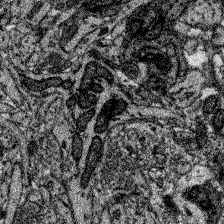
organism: Zebrafish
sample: Larval olfactory bulb